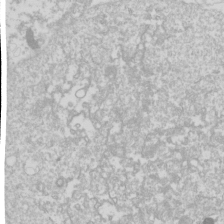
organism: Drosophila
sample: Cell division; meiosis; drosophila spermatocytes